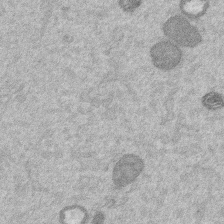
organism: Mouse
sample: Dividing mouse embryo 1 cell stage